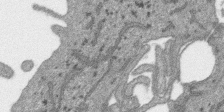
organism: Human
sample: Lung epithelial cells infected with SARS-CoV-2